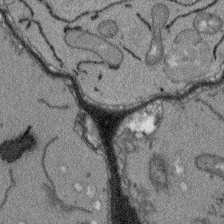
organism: Arabidopsis thaliana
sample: Root tip